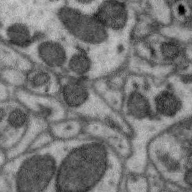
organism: Zebra finch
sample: Brain